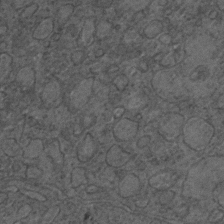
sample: Trachea